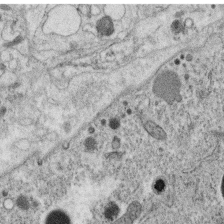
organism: C. elegans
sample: C. elegans oocyte; sperm cells